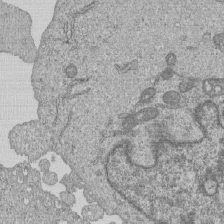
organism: Human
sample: MDA-MB-231 cells